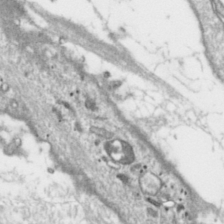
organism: Toxoplasma gondii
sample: Parasites in a vacuole inside a host cell